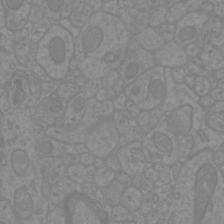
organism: Mouse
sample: Cortical neurons